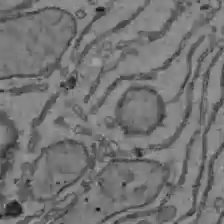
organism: C57BL Mouse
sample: Liver